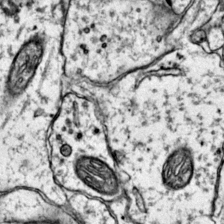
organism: Mouse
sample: Primary visual cortex